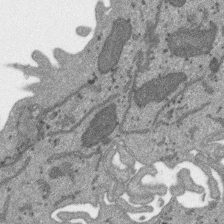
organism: Human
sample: Lung epithelial cells infected with SARS-CoV-2